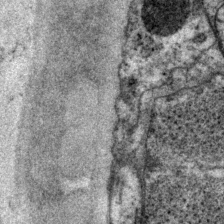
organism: P. pacificus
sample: Pharynx